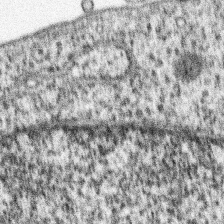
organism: Human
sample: HeLa cells